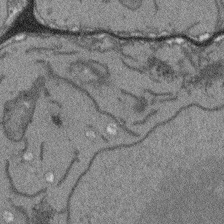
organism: Arabidopsis thaliana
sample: Root tip